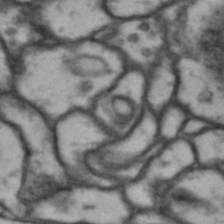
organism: Drosophila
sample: Brain